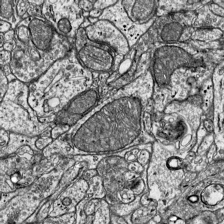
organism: Mouse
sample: Visual Cortex